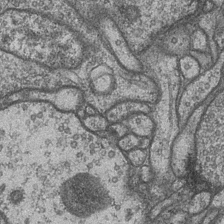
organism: Drosophila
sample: Optic medulla